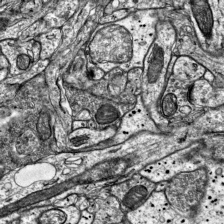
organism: Mouse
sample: Visual Cortex